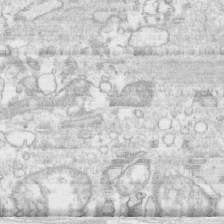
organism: Human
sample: CRL-1474